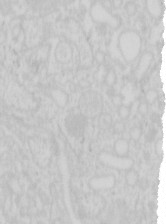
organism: Mouse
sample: Pancreas